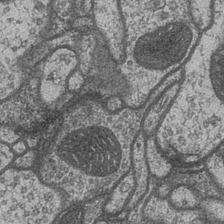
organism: Drosophila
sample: Optic medulla